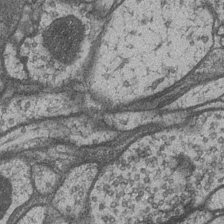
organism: Drosophila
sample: Optic medulla